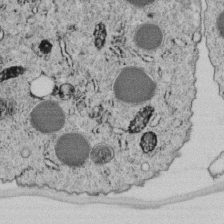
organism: C. elegans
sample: C. elegans embryo early stage